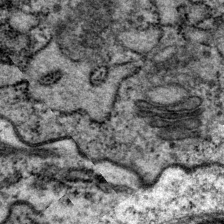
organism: P. pacificus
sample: Pharynx